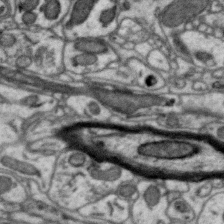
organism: Zebra finch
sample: Brain